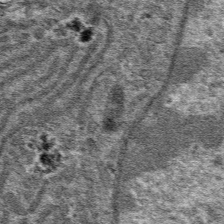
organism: Mouse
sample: Mouse hepatocytes